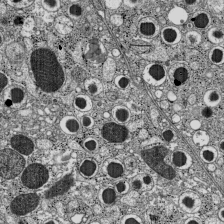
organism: C57BL Mouse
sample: Pancreatic islet